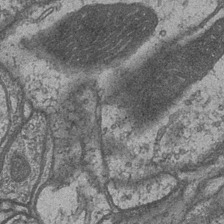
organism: Drosophila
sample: Optic medulla